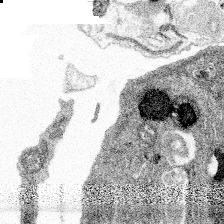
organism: Spongilla lacustris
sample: Multiple